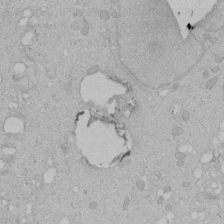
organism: Human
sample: Melanocyte Keratinocyte synapse skin construct